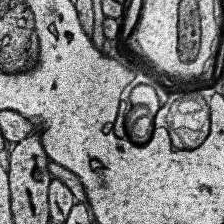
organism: Human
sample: Temporal Lobe